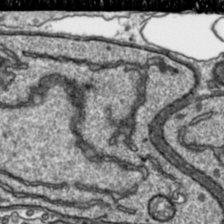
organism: Toxoplasma gondii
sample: Parasites in a vacuole inside a host cell